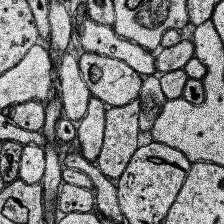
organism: Human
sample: Temporal Lobe